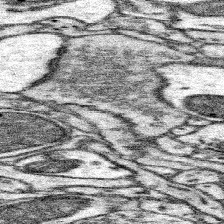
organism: Mouse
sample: Somatosensory cortex neuropil